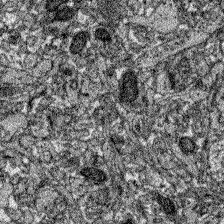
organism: Zebrafish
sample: Larval olfactory bulb